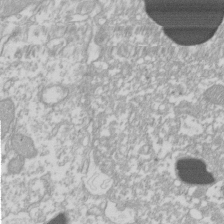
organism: Xenopus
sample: Cilia; centrioles in frog embryo cells